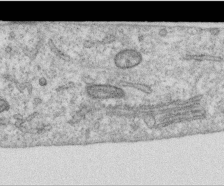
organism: Human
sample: Centriole in RPE cells